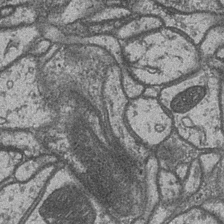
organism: Drosophila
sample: Optic medulla